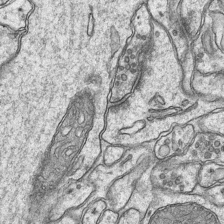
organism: Mouse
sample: CA1 Hippocampus